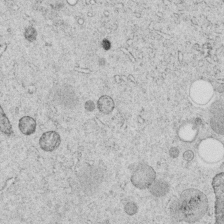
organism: C. elegans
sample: C. elegans embryo early stage